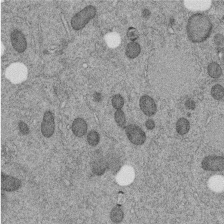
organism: C. elegans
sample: C. elegans embryo early stage